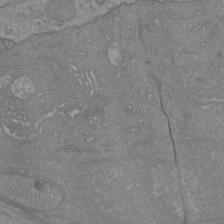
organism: Mouse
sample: Cortical neurons